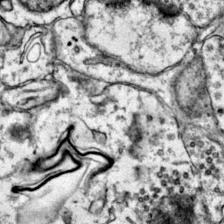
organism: Mouse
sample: Primary visual cortex